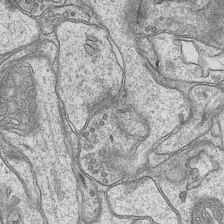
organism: Mouse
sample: CA1 Hippocampus